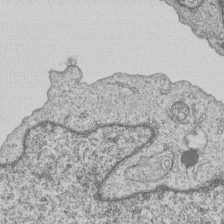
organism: Human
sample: MDA-MB-231 cells